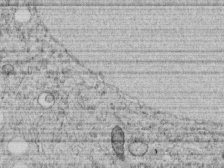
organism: C. elegans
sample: C. elegans embryo early stage